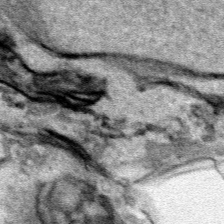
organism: Human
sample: Mitochondria in HCT116 cells